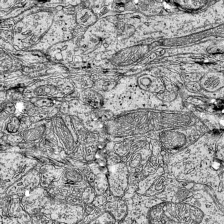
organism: Mouse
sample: Visual Cortex